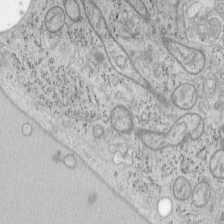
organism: Mouse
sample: OT-I killer T cells with ID8 ovarian cancer cells